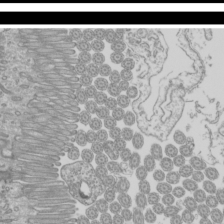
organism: Mouse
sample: Cilia; mouse epididymis